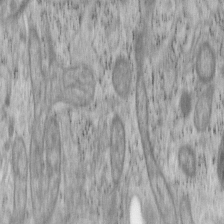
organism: Human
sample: HeLa cells